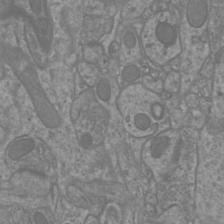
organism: Mouse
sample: Cortical neurons